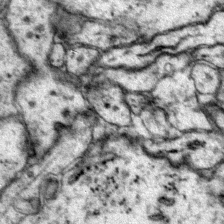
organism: Mouse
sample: Primary visual cortex